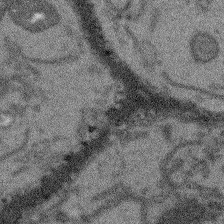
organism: Arabidopsis thaliana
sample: Root tip